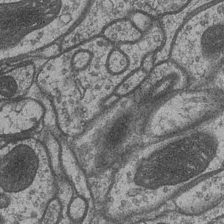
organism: Drosophila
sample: Optic medulla